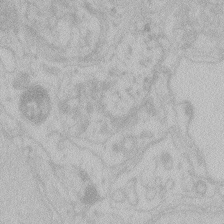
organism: Zebrafish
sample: Macrophage infected with Toxoplasma gondii